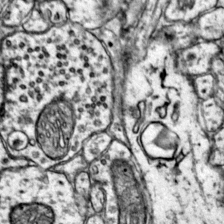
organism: Mouse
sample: Primary visual cortex